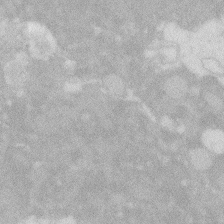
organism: Zebrafish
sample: Macrophage